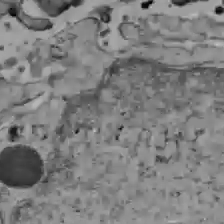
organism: C57BL Mouse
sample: Liver